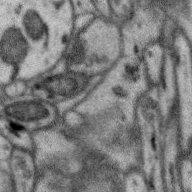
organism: Zebra finch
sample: Brain